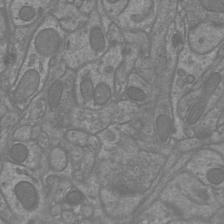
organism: Mouse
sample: Cortical neurons